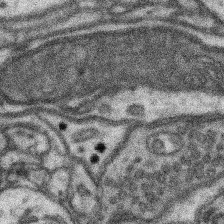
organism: Mouse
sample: Somatosensory cortex neuropil